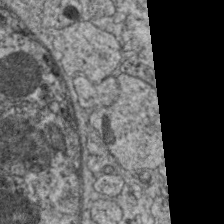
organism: C. elegans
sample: Pharynx